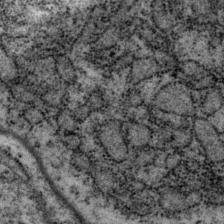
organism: P. pacificus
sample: Pharynx